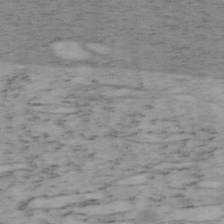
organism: Mouse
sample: OT-I killer T cells with ID8 ovarian cancer cells